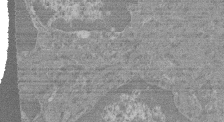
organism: Mouse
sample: Glomerulus